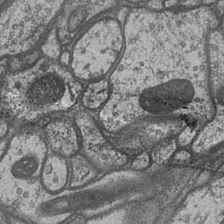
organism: Drosophila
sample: Optic medulla